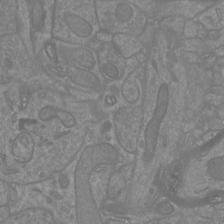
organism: Mouse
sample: Cortical neurons